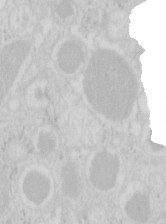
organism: Mouse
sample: Pancreas